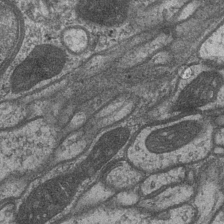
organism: Drosophila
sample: Optic medulla